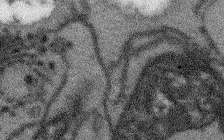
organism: Arabidopsis thaliana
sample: Root tip